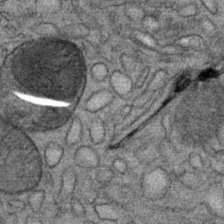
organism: Mouse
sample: Mouse Salivary gland